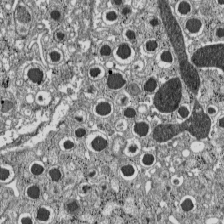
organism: C57BL Mouse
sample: Pancreatic islet